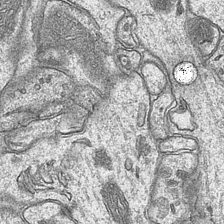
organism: Mouse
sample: CA1 Hippocampus